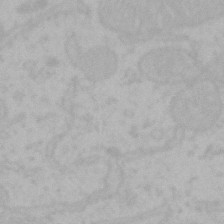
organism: Mouse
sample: Choroid plexus